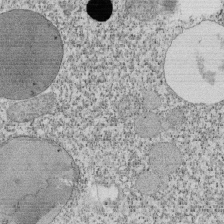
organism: Tetrahymena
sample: Cilia in tetrahymena